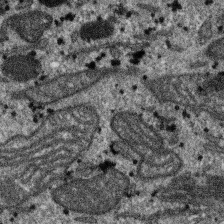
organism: Human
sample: Lung epithelial cells infected with SARS-CoV-2